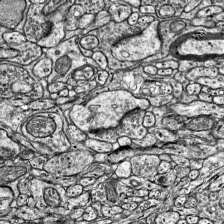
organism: Mouse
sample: Visual Cortex